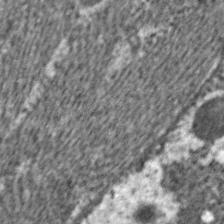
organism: C. elegans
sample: Pharynx